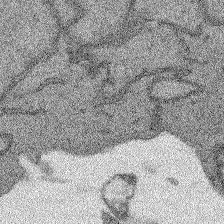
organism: Human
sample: HeLa cells